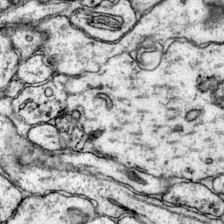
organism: Mouse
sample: Primary visual cortex